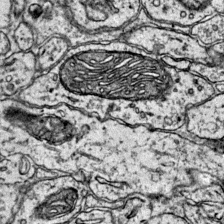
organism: Mouse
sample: Primary visual cortex